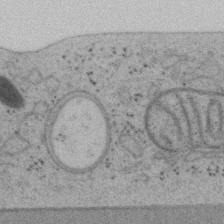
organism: Human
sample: HeLa cells